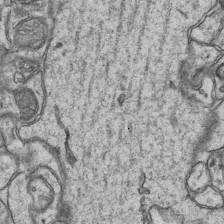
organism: Mouse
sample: CA1 Hippocampus